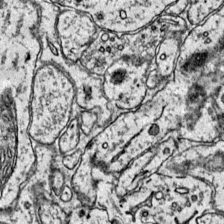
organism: Mouse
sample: Primary visual cortex